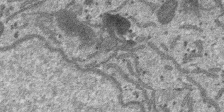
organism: Human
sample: Lung epithelial cells infected with SARS-CoV-2